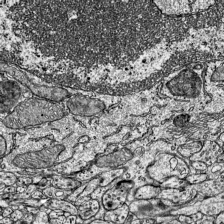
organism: Mouse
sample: Visual Cortex